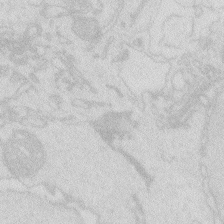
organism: Zebrafish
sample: Macrophage